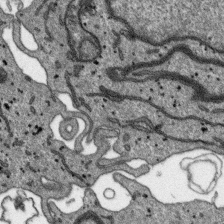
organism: Human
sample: Lung epithelial cells, uninfected (mock) control